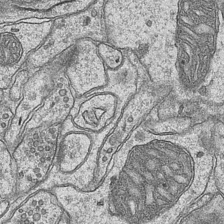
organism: Mouse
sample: CA1 Hippocampus